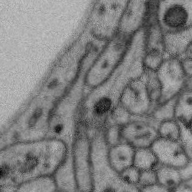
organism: Zebra finch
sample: Brain